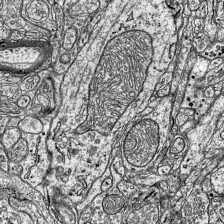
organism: Mouse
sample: Visual Cortex